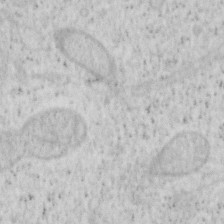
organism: Human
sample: HeLa cells